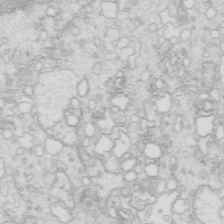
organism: Mouse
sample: Multiciliated cells